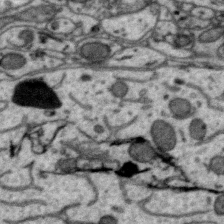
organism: Zebra finch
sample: Brain